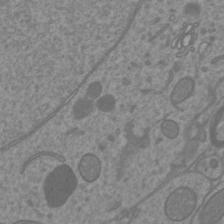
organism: Mouse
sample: Cortical neurons